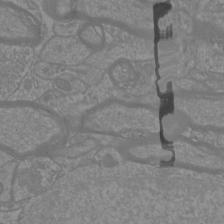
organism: Mouse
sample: Cortical neurons